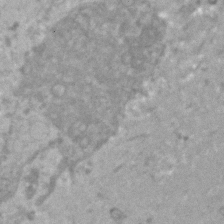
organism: Human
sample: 1205lu cells